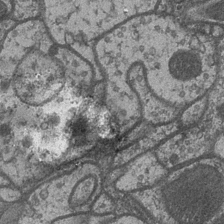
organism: Drosophila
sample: Optic medulla